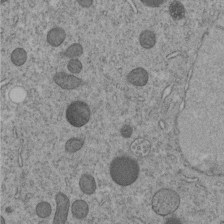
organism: C. elegans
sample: C. elegans embryo early stage